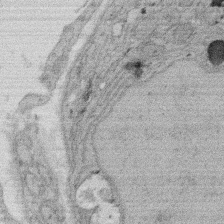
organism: Rat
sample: Salivary granule